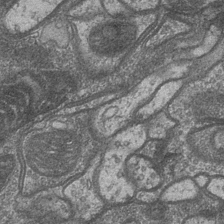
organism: Drosophila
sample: Optic medulla